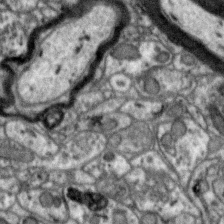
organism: Zebra finch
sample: Brain